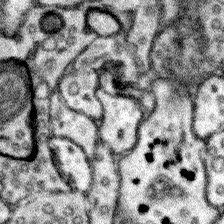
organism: Mouse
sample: Somatosensory cortex neuropil